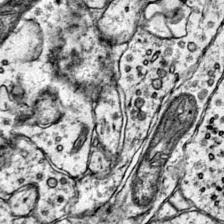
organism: Mouse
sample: Primary visual cortex